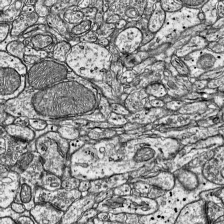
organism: Mouse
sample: Visual Cortex